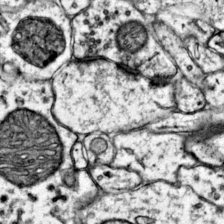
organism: Mouse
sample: Primary visual cortex